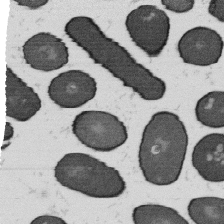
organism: B. subtilis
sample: Bacterial spore